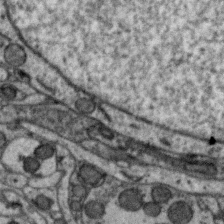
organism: Zebra finch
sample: Brain